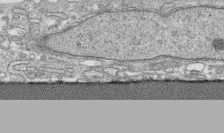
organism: Human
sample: CRL-1474